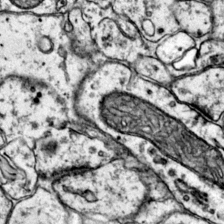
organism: Mouse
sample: Primary visual cortex